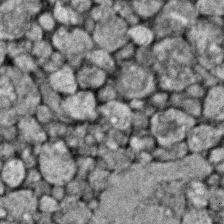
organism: Zebrafish